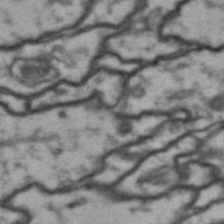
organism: Drosophila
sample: Brain